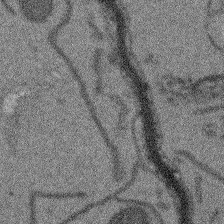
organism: Arabidopsis thaliana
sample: Root tip